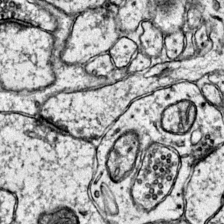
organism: Mouse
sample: Primary visual cortex